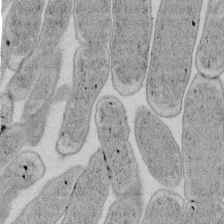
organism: E. coli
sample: Bacterial nucleoid